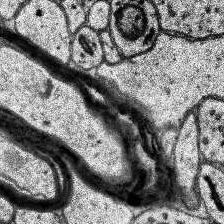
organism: Human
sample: Temporal Lobe